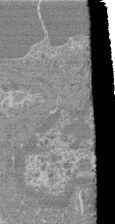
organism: Mouse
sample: Glomerulus